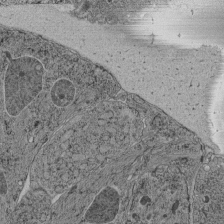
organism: C. elegans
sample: C. elegans pharynx